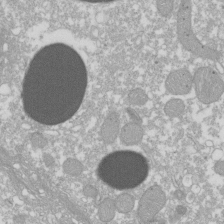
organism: Xenopus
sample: Cilia; centrioles in frog embryo cells